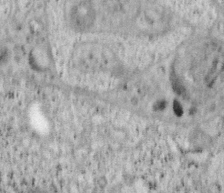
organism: Mouse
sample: OT-I killer T cells with ID8 ovarian cancer cells